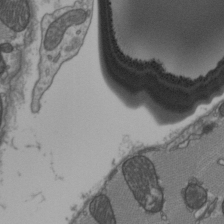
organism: C57BL Mouse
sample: Heart